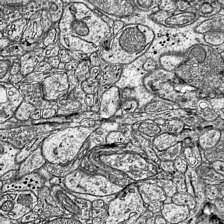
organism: Mouse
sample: Visual Cortex